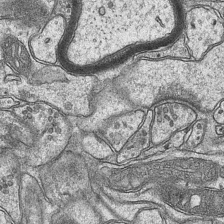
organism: Mouse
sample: CA1 Hippocampus